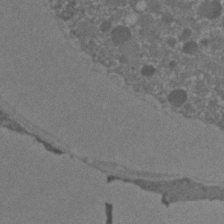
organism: C. elegans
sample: C. elegans embryo